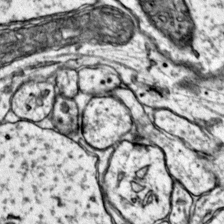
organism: Mouse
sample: Primary visual cortex